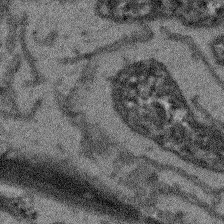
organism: Arabidopsis thaliana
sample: Root tip